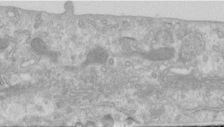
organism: Human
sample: Centriole in RPE cells